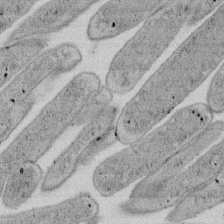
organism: E. coli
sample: Bacterial nucleoid